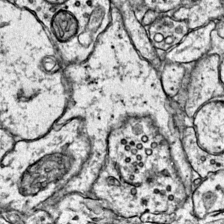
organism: Mouse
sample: Primary visual cortex